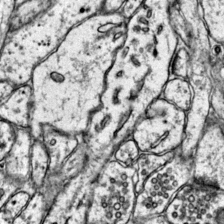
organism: Mouse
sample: Primary visual cortex